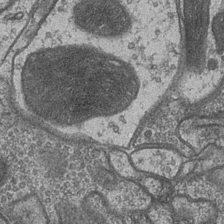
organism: Drosophila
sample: Optic medulla